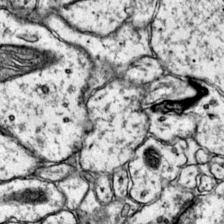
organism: Mouse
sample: Primary visual cortex